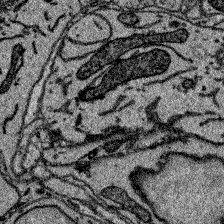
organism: Zebrafish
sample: Larval olfactory bulb